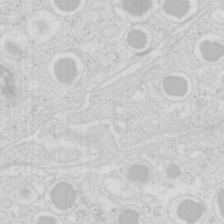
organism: Mouse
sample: Pancreas